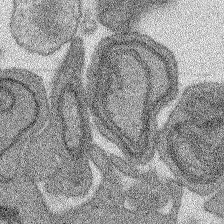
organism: Human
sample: HeLa cells